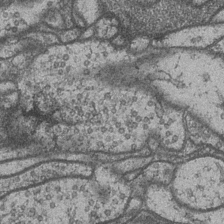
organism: Drosophila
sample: Optic medulla